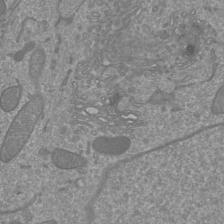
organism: Mouse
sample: Cortical neurons